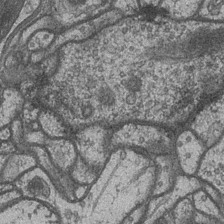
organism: Drosophila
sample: Optic medulla